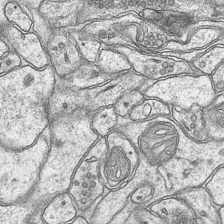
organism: Mouse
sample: CA1 Hippocampus